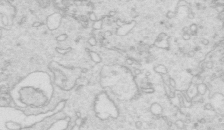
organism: Mouse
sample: Multiciliated cells